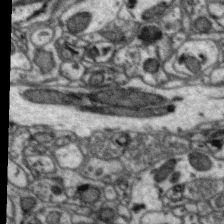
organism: Zebra finch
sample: Brain